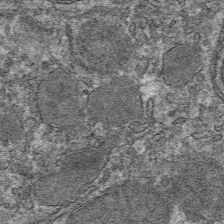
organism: Mouse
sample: Mouse hepatocytes